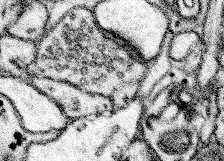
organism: Mouse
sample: Somatosensory cortex neuropil